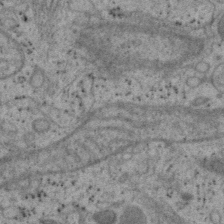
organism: Human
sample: HeLa cells